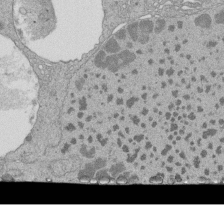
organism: Tetrahymena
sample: Cilia in tetrahymena